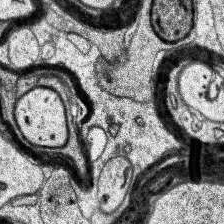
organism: Human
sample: Temporal Lobe